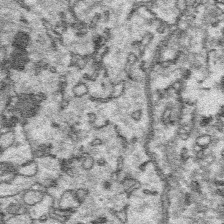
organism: Platynereis dumerilii